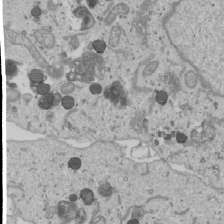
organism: Human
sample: Mitochondria in U2OS cells